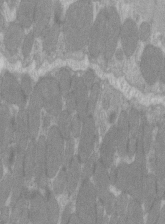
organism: C57BL Mouse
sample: Tibialis anterior muscle cell